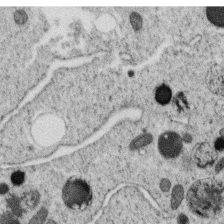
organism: C. elegans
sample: C. elegans oocyte; sperm cells